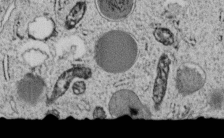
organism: C. elegans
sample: C. elegans embryo early stage